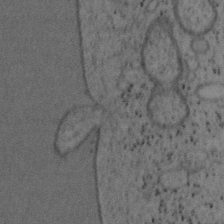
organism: Human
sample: HeLa cells